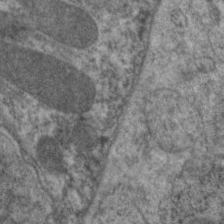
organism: C. elegans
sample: Pharynx